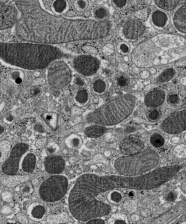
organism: C57BL Mouse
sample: Pancreatic islet